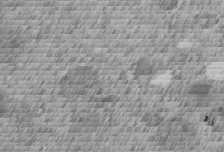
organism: C. elegans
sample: C. elegans embryo early stage